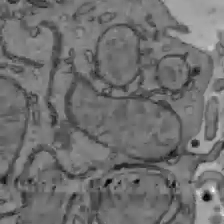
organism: C57BL Mouse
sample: Liver